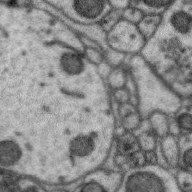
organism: Zebra finch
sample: Brain